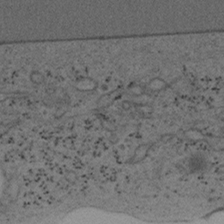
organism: Human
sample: HeLa cells